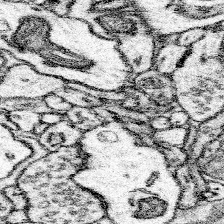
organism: Mouse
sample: Somatosensory cortex neuropil